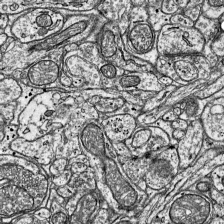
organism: Mouse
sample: Visual Cortex